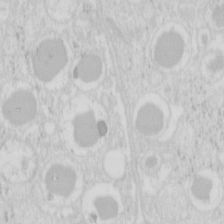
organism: Mouse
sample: Pancreas